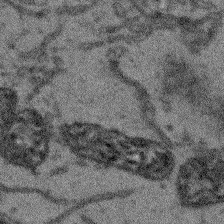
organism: Arabidopsis thaliana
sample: Root tip